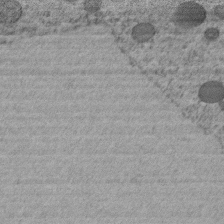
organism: C. elegans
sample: C. elegans embryo early stage